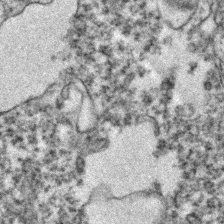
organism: Zebrafish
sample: Zebrafish embryo